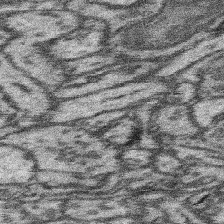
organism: Mouse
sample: Somatosensory cortex neuropil